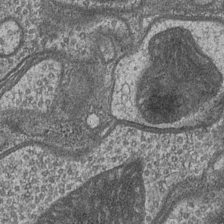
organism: Drosophila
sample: Optic medulla